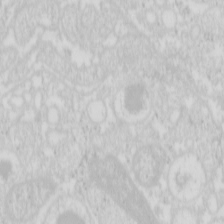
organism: Mouse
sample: Pancreas